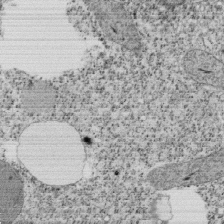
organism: Tetrahymena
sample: Cilia in tetrahymena